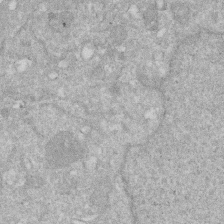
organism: Human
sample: HIV infected U937 cells